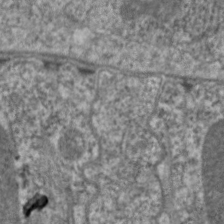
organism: C. elegans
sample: Pharynx